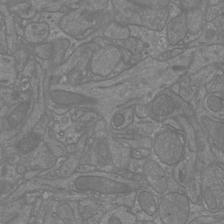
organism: Mouse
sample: Cortical neurons